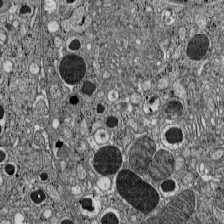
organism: C57BL Mouse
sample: Pancreatic islet